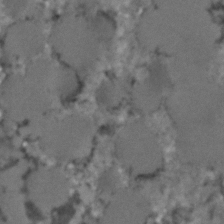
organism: C. elegans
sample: C. elegans embryo